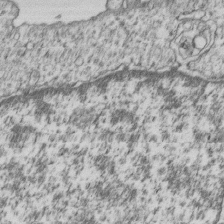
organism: Human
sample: MDA-MB-231 cells